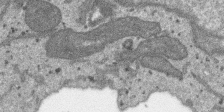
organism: Human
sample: Lung epithelial cells infected with SARS-CoV-2